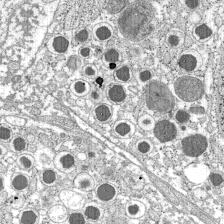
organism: C57BL Mouse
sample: Pancreatic islet